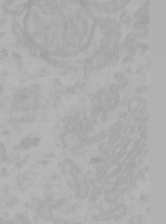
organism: Mouse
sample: Choroid plexus